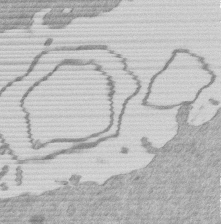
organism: Mouse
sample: Dividing mouse embryo 1 cell stage